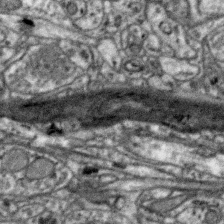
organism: Zebra finch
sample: Brain